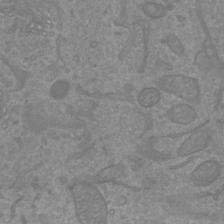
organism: Mouse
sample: Cortical neurons